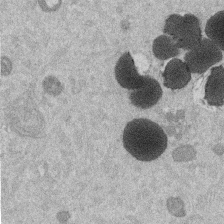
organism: Mouse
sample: Dividing mouse embryo 1 cell stage